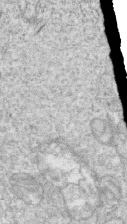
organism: Human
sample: HeLa cell HIV synapse